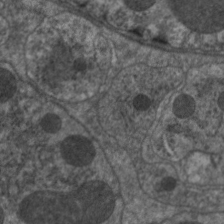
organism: C. elegans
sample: Pharynx